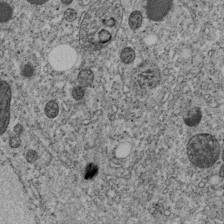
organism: C. elegans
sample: C. elegans embryo early stage